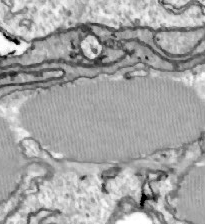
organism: Zebrafish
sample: Actinotrichia fibers